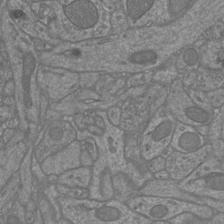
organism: Mouse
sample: Cortical neurons